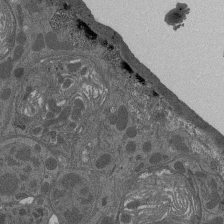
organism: Drosophila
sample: Antenna